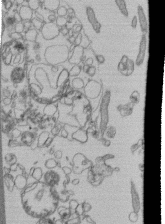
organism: Human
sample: Retinal organoid Rod and Cone cells